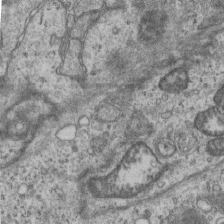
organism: Mouse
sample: Centriole in ependymal cells